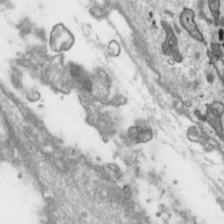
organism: Toxoplasma gondii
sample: Parasites in a vacuole inside a host cell